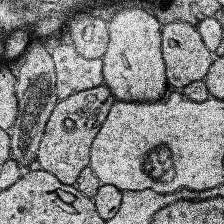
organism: Human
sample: Temporal Lobe